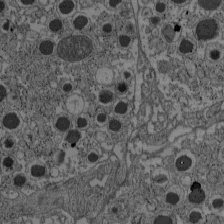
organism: C57BL Mouse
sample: Pancreatic islet